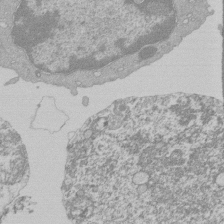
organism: Mouse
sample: Activated Pmel transgenic CD8+ T Cells